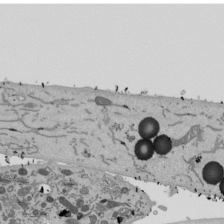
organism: Mouse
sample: ED-1 cell nuclei; centrioles